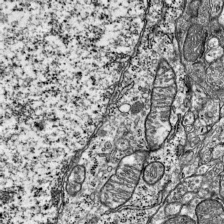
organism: Mouse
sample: Visual Cortex